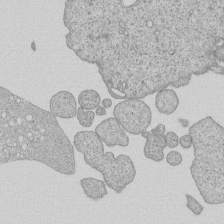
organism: Human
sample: MDA-MB-231 cells